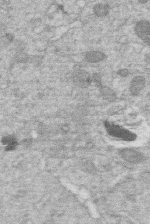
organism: Human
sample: Macrophage cells